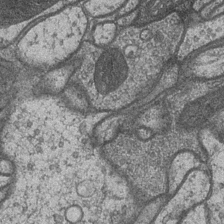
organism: Drosophila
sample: Optic medulla